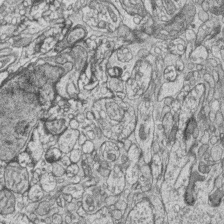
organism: Zebrafish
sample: synaptic ribbons in rod cells and cone cells